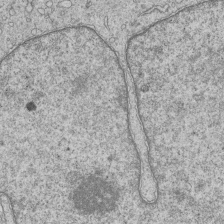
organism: Human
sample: MDA-MB-231 cells